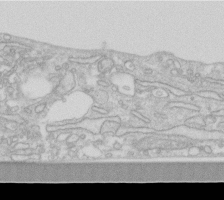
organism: Human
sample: Fibroblast cells